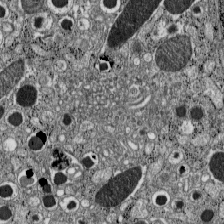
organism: C57BL Mouse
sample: Pancreatic islet